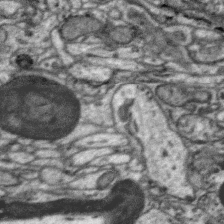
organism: Zebra finch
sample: Brain